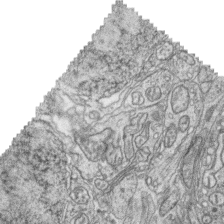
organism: Zebrafish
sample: synaptic ribbons in rod cells and cone cells